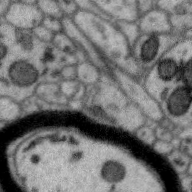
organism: Zebra finch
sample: Brain